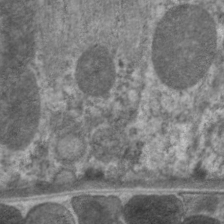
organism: C. elegans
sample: Pharynx